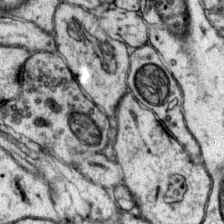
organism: Mouse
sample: Primary visual cortex